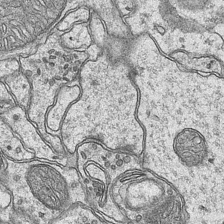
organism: Mouse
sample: CA1 Hippocampus